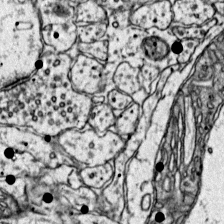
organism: Mouse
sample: Primary visual cortex